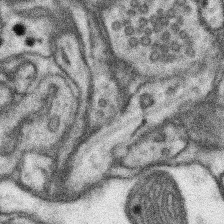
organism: Mouse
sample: Somatosensory cortex neuropil